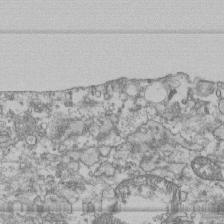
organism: Human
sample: Fibroblast cells